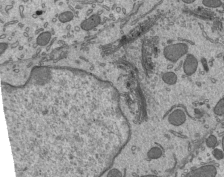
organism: Mouse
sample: Mouse epididymis efferent ductule cilia